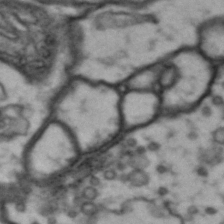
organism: Drosophila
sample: Brain